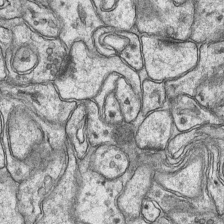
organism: Mouse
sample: CA1 Hippocampus